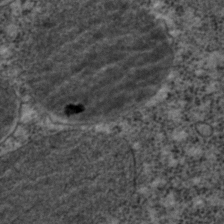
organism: C. elegans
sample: C. elegans embryo